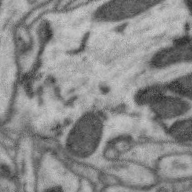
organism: Zebra finch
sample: Brain